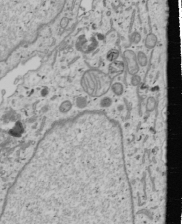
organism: Human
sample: Mitochondria in U2OS cells